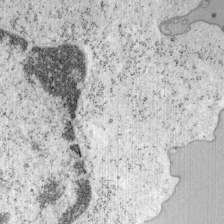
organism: Mouse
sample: OT-I killer T cells with ID8 ovarian cancer cells